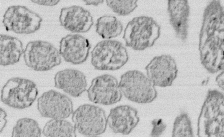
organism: E. coli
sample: Bacterial nucleoid